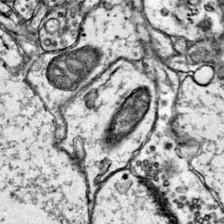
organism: Mouse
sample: Primary visual cortex